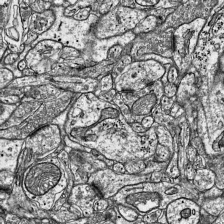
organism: Mouse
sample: Visual Cortex